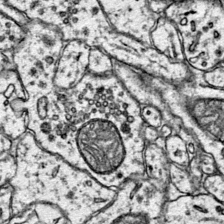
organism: Mouse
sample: Primary visual cortex